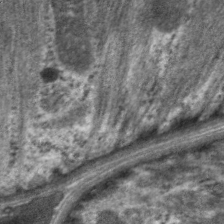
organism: C. elegans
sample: Pharynx